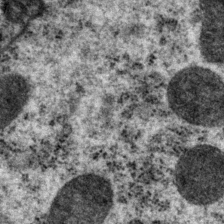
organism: P. pacificus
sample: Pharynx